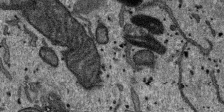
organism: Human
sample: Lung epithelial cells, uninfected (mock) control